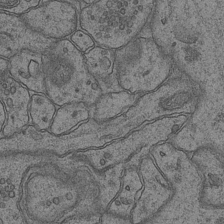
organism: Mouse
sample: CA1 Hippocampus